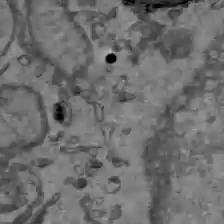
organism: C57BL Mouse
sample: Liver